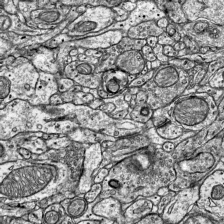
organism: Mouse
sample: Visual Cortex